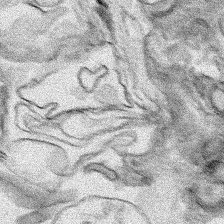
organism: Human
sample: Mitochondria in HCT116 cells